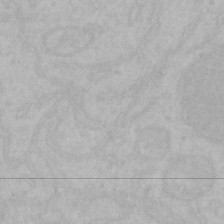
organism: Mouse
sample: Choroid plexus